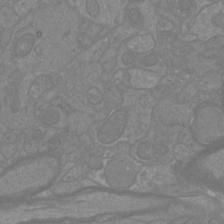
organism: Mouse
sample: Cortical neurons